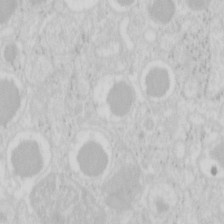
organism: Mouse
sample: Pancreas